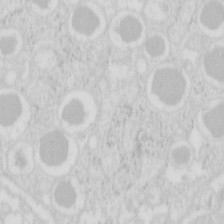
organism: Mouse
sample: Pancreas